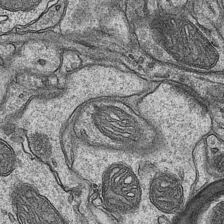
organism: Mouse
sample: CA1 Hippocampus